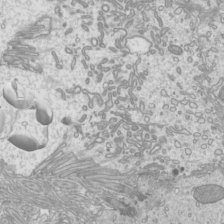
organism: Mouse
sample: Cilia; mouse epididymis